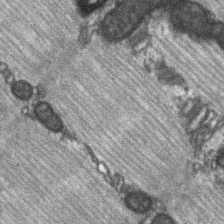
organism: C57BL Mouse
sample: Soleus